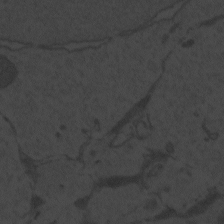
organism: Zebrafish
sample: Macrophage infected with Toxoplasma gondii